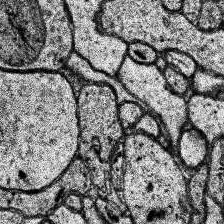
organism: Human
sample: Temporal Lobe